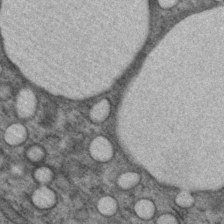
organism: P. pacificus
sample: Pharynx